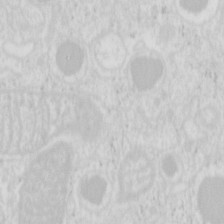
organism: Mouse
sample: Pancreas